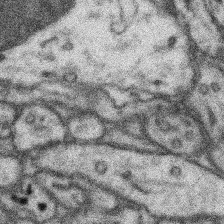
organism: Mouse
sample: Somatosensory cortex neuropil